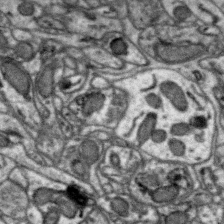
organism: Zebra finch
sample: Brain